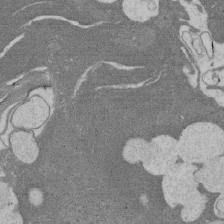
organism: Rat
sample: Salivary granule